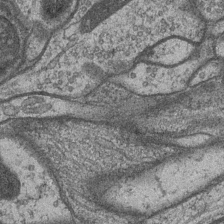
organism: Drosophila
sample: Optic medulla